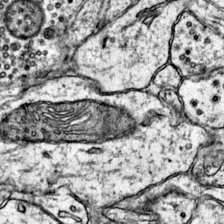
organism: Mouse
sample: Primary visual cortex